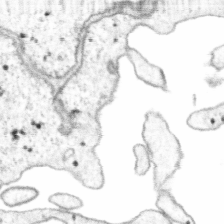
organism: Human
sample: HeLa cells